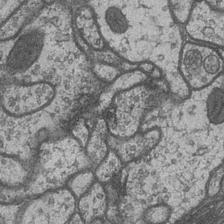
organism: Drosophila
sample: Optic medulla